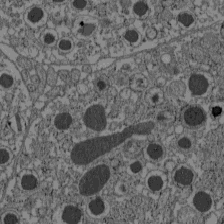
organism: C57BL Mouse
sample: Pancreatic islet